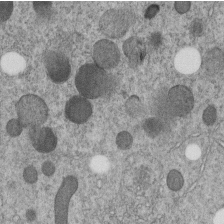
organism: C. elegans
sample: C. elegans embryo early stage